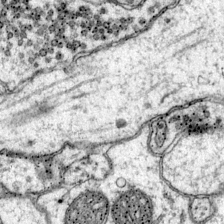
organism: Mouse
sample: Primary visual cortex